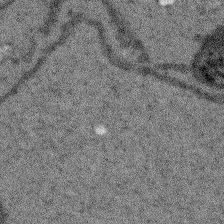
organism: Arabidopsis thaliana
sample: Root tip